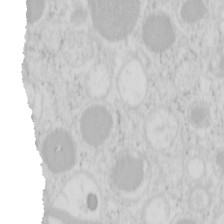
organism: Mouse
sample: Pancreas